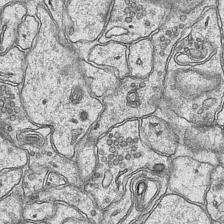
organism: Mouse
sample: CA1 Hippocampus